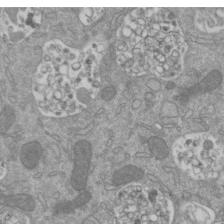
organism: Mouse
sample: ED-1 cell nuclei; centrioles